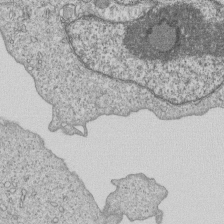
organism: Human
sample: MDA-MB-231 cells